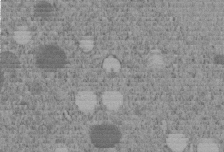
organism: C. elegans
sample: C. elegans embryo early stage